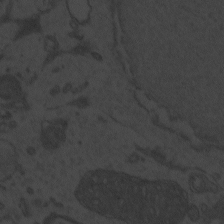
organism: Zebrafish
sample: Macrophage infected with Toxoplasma gondii